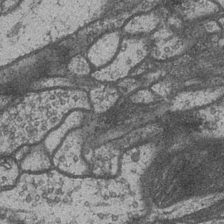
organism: Drosophila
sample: Optic medulla